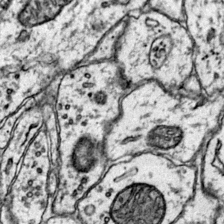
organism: Mouse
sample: Primary visual cortex